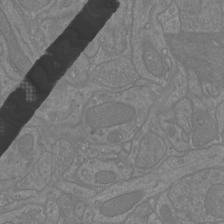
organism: Mouse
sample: Cortical neurons